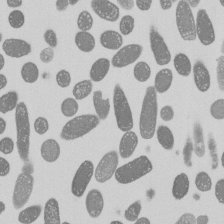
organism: E. coli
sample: Bacterial nucleoid